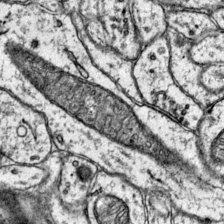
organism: Mouse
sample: Primary visual cortex